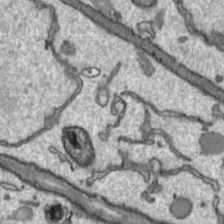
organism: Toxoplasma gondii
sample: Parasites in a vacuole inside a host cell